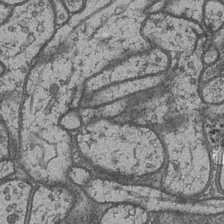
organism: Drosophila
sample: Optic medulla